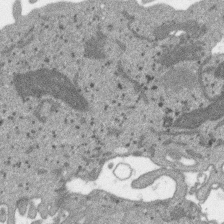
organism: Human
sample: Lung epithelial cells infected with SARS-CoV-2